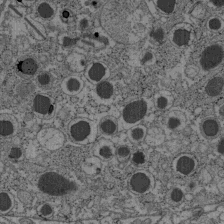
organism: C57BL Mouse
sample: Pancreatic islet